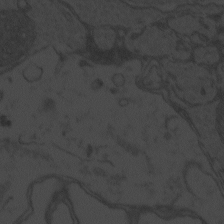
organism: Zebrafish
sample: Macrophage infected with Toxoplasma gondii